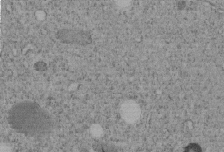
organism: C. elegans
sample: C. elegans embryo early stage